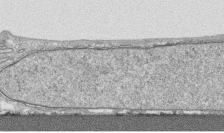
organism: Human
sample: CRL-1474